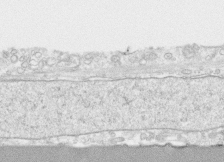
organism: Human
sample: CRL-1474